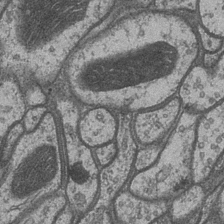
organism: Drosophila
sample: Optic medulla